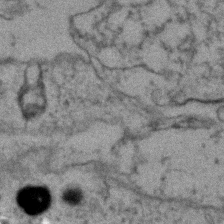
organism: Zebrafish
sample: Zebrafish embryo